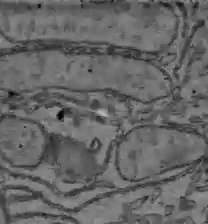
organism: C57BL Mouse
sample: Liver